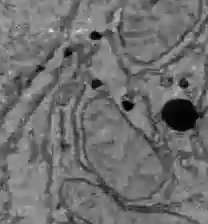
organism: C57BL Mouse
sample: Liver